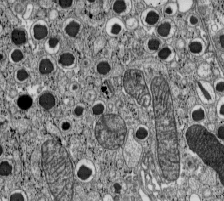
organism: C57BL Mouse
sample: Pancreatic islet